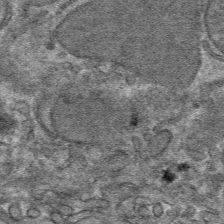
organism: Mouse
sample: Mouse hepatocytes